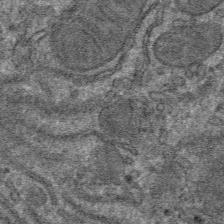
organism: Mouse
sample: Mouse hepatocytes